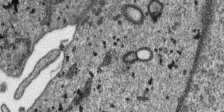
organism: Human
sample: Lung epithelial cells infected with SARS-CoV-2